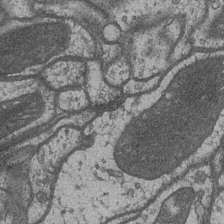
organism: Drosophila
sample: Optic medulla